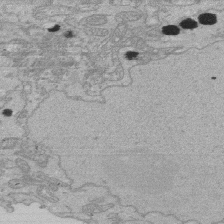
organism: Human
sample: Activated Jurkat CD4+ T cells